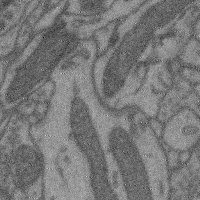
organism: Mouse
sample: Cerebral cortex